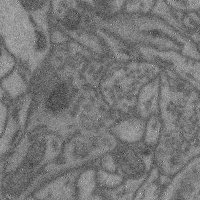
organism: Mouse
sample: Cerebral cortex